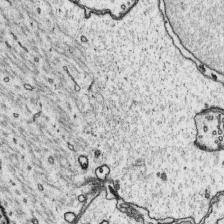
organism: Platynereis dumerilii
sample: Parapodia